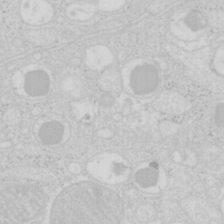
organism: Mouse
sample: Pancreas